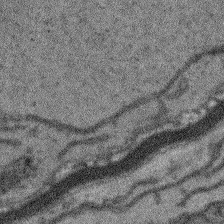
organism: Arabidopsis thaliana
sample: Root tip